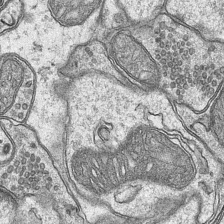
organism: Mouse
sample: CA1 Hippocampus